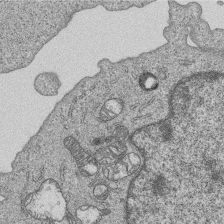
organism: Human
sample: MDA-MB-231 cells